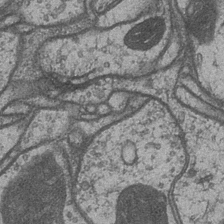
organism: Drosophila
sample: Optic medulla